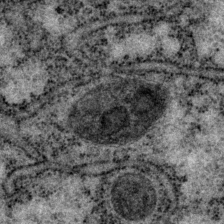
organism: P. pacificus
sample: Pharynx